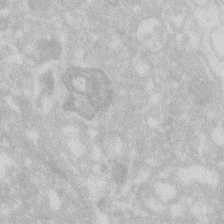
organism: Zebrafish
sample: Macrophage